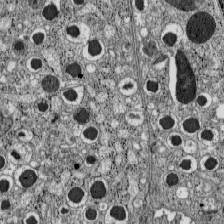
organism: C57BL Mouse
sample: Pancreatic islet